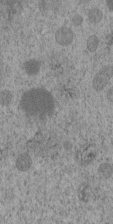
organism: C. elegans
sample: C. elegans embryo early stage